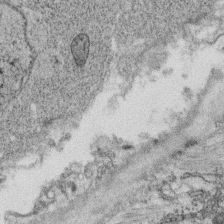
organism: C. elegans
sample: C. elegans oocyte; sperm cells